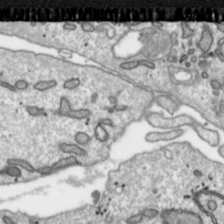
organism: Toxoplasma gondii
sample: Parasites in a vacuole inside a host cell